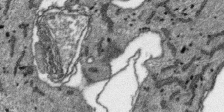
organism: Human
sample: Lung epithelial cells, uninfected (mock) control